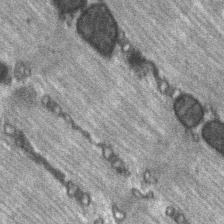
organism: C57BL Mouse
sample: Soleus